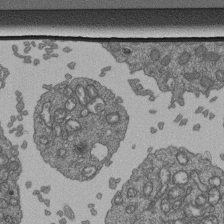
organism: Human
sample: Retinal organoid Rod and Cone cells